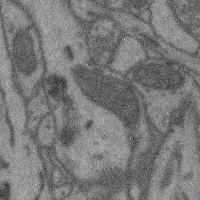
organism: Mouse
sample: Cerebral cortex